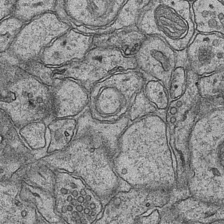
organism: Mouse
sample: CA1 Hippocampus